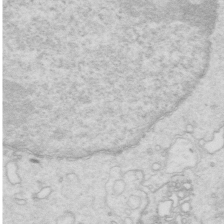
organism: Mouse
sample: Multiciliated cells